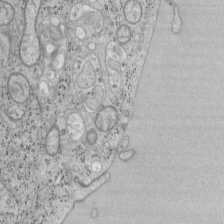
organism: Mouse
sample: OT-I killer T cells with ID8 ovarian cancer cells